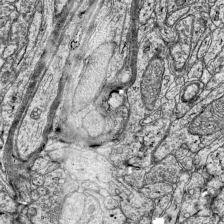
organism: Mouse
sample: Visual Cortex